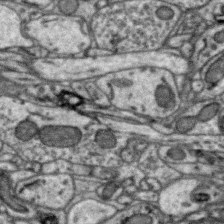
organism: Zebra finch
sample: Brain